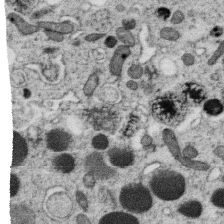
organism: C. elegans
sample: C. elegans oocyte; sperm cells